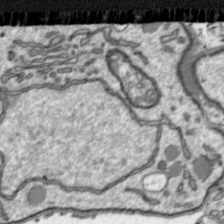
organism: Toxoplasma gondii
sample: Parasites in a vacuole inside a host cell